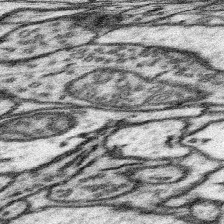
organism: Mouse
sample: Somatosensory cortex neuropil